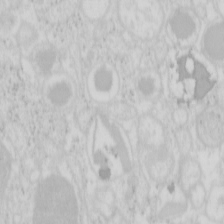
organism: Mouse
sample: Pancreas